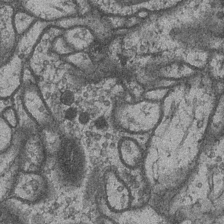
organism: Drosophila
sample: Optic medulla